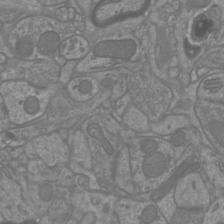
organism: Mouse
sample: Cortical neurons